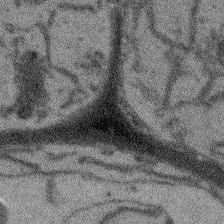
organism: Arabidopsis thaliana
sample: Root tip